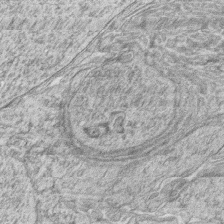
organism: Zebrafish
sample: synaptic ribbons in rod cells and cone cells